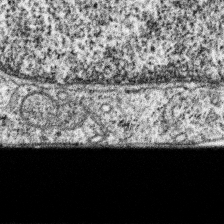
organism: Human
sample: HeLa cells